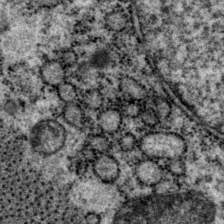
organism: P. pacificus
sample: Pharynx